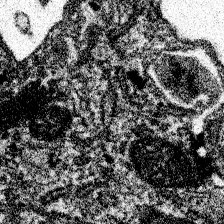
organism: Spongilla lacustris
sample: Neuroid cell